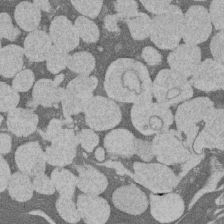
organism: Rat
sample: Salivary granule